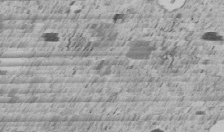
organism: C. elegans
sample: C. elegans embryo early stage